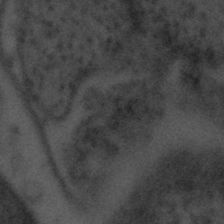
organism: Tuwongella immobilis